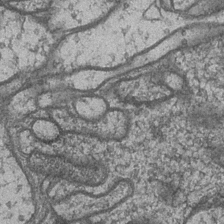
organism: Drosophila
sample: Optic medulla